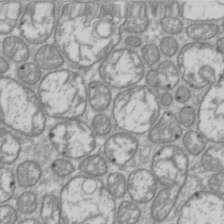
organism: Drosophila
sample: Cell division; meiosis; drosophila spermatocytes